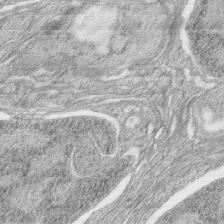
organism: Zebrafish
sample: synaptic ribbons in rod cells and cone cells